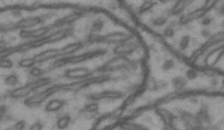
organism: Drosophila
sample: Brain